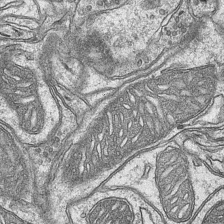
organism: Mouse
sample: CA1 Hippocampus